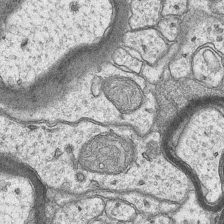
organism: Mouse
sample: CA1 Hippocampus